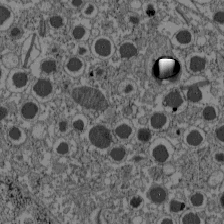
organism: C57BL Mouse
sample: Pancreatic islet